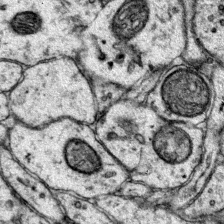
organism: Mouse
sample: Primary visual cortex